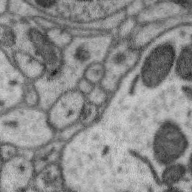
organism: Zebra finch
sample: Brain